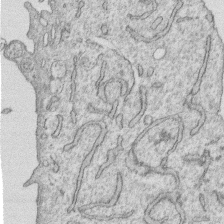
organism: Human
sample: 1205lu cells